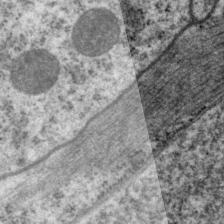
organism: P. pacificus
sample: Pharynx